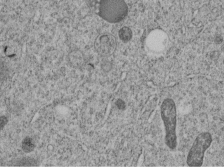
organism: C. elegans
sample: C. elegans embryo early stage